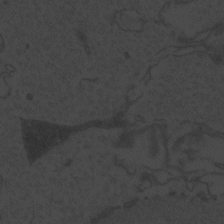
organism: Zebrafish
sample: Macrophage infected with Toxoplasma gondii